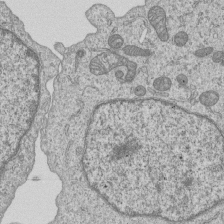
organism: Human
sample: MDA-MB-231 cells